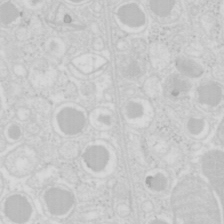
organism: Mouse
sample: Pancreas